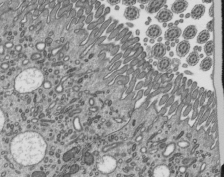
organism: Mouse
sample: Mouse epididymis efferent ductule cilia